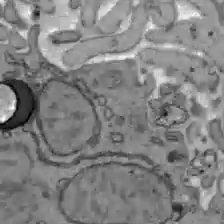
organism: C57BL Mouse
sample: Liver